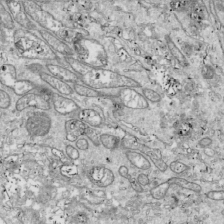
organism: Drosophila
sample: Cell division; meiosis; drosophila spermatocytes